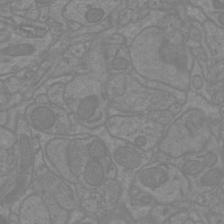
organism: Mouse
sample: Cortical neurons